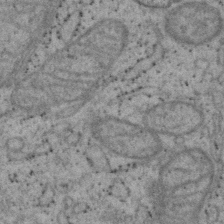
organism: Human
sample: HeLa cells